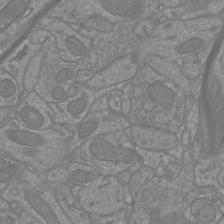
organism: Mouse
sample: Cortical neurons